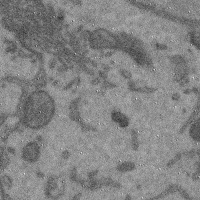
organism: Mouse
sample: Cerebral cortex